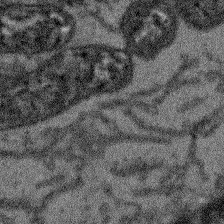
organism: Arabidopsis thaliana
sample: Root tip